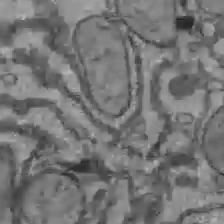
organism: C57BL Mouse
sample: Liver